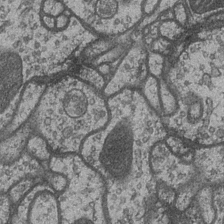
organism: Drosophila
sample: Optic medulla